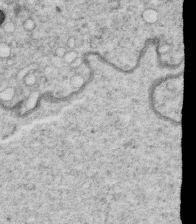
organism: C. elegans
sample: C. elegans oocyte; sperm cells